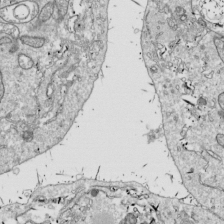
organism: Drosophila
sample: Cell division; meiosis; drosophila spermatocytes